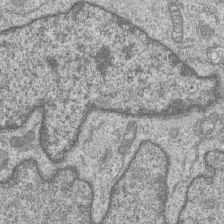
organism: Human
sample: MDA-MB-231 cells